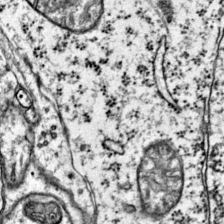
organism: Mouse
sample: Primary visual cortex